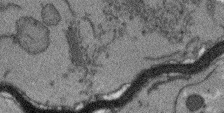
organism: Arabidopsis thaliana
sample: Root tip